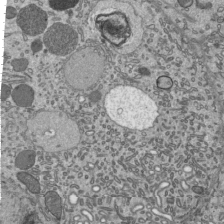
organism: Mouse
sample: Mouse epididymis efferent ductule cilia